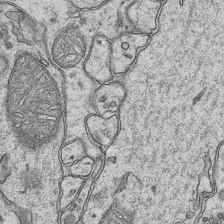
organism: Mouse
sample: CA1 Hippocampus